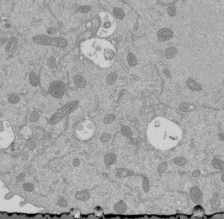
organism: Mouse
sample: ED-1 cell nuclei; centrioles